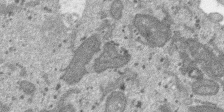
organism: Human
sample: Lung epithelial cells infected with SARS-CoV-2